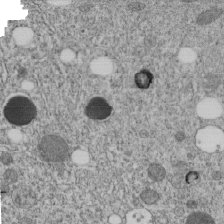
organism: C. elegans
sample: C. elegans embryo early stage